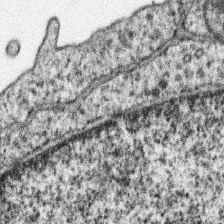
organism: Human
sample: HeLa cells